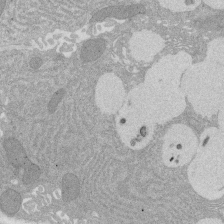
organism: Rat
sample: Salivary granule